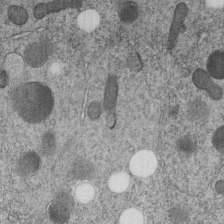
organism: C. elegans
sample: C. elegans embryo early stage